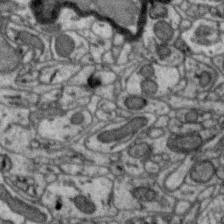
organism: Zebra finch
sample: Brain